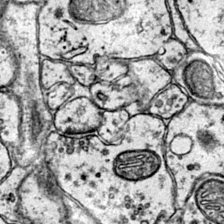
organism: Mouse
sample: Primary visual cortex